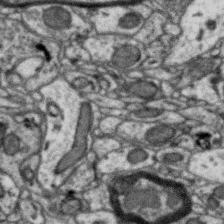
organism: Zebra finch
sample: Brain